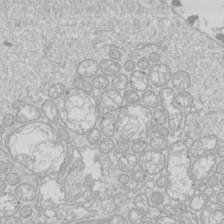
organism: Drosophila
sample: Cell division; meiosis; drosophila spermatocytes